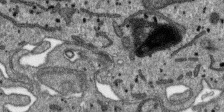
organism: Human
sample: Lung epithelial cells, uninfected (mock) control